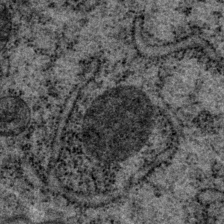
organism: P. pacificus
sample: Pharynx